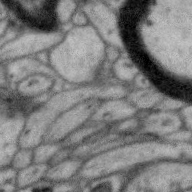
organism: Zebra finch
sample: Brain